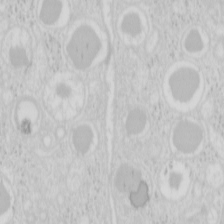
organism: Mouse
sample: Pancreas